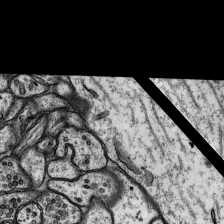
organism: Rat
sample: Hippocampus